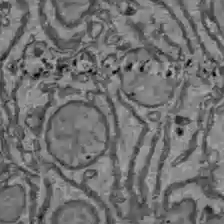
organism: C57BL Mouse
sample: Liver